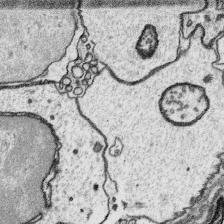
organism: Platynereis dumerilii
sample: Parapodia